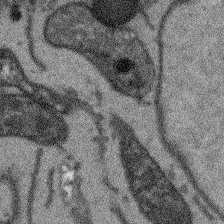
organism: Arabidopsis thaliana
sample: Root tip